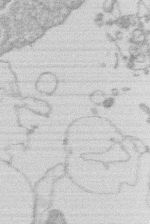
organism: Human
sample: Macrophage cells